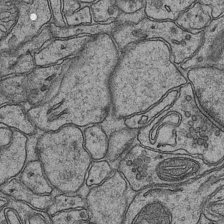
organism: Mouse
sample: CA1 Hippocampus